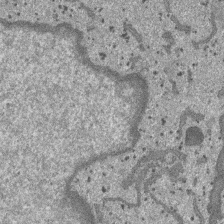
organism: Human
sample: Lung epithelial cells infected with SARS-CoV-2